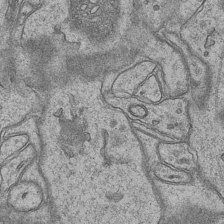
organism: Mouse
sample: CA1 Hippocampus